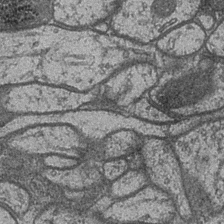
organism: Drosophila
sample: Optic medulla